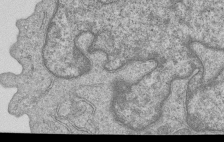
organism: Human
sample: MDA-MB-231 cells